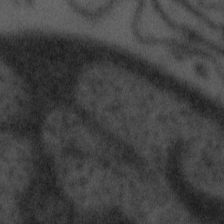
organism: Tuwongella immobilis